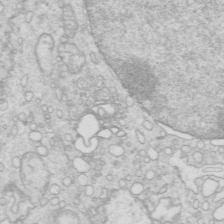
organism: Mouse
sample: Multiciliated cells